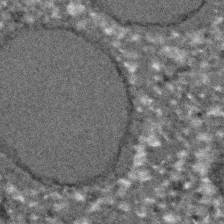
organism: C. elegans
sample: C. elegans embryo